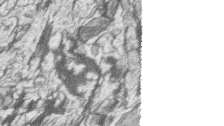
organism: Zebrafish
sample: synaptic ribbons in rod cells and cone cells